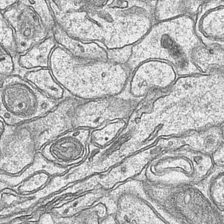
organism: Mouse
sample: CA1 Hippocampus